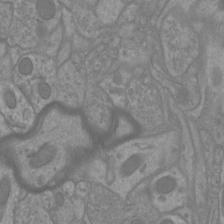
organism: Mouse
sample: Cortical neurons